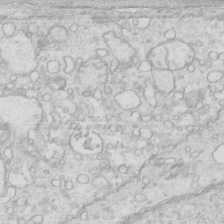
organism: Mouse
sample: Multiciliated cells